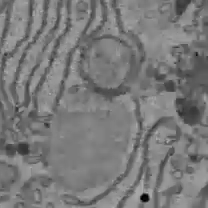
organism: C57BL Mouse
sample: Liver